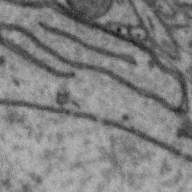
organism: Zebra finch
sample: Brain